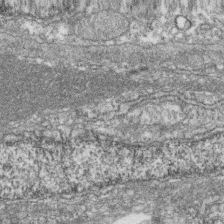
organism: Zebrafish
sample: Cilia; retinal pigment epithelium